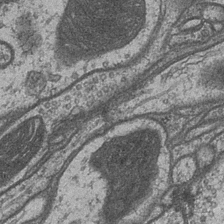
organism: Drosophila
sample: Optic medulla